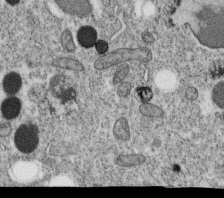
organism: C. elegans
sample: C. elegans oocyte; sperm cells